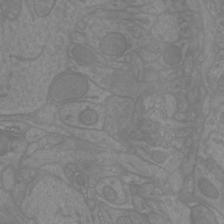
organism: Mouse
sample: Cortical neurons